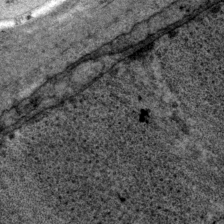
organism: P. pacificus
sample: Pharynx